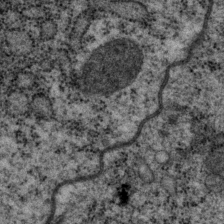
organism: P. pacificus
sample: Pharynx